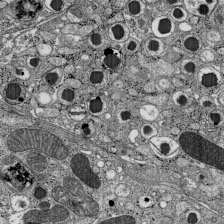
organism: C57BL Mouse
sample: Pancreatic islet